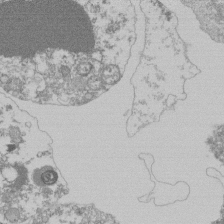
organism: Mouse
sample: Activated Pmel transgenic CD8+ T Cells